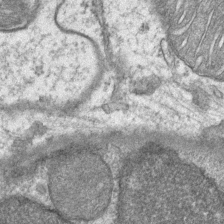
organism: Mouse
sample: CA1 Hippocampus